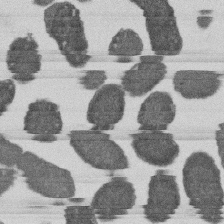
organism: E. coli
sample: Bacterial nucleoid